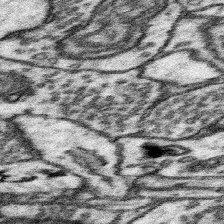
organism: Mouse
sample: Somatosensory cortex neuropil